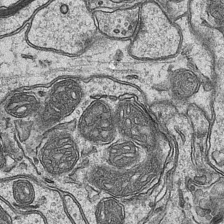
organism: Mouse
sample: CA1 Hippocampus